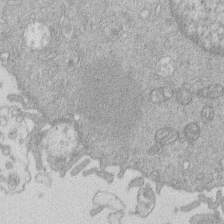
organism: Human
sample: Macrophage cells